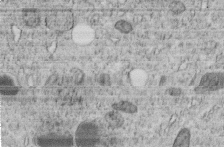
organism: C. elegans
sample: C. elegans embryo early stage